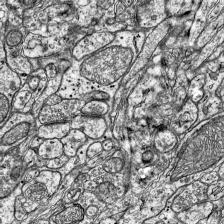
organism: Mouse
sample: Visual Cortex